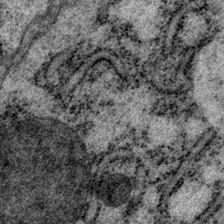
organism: P. pacificus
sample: Pharynx